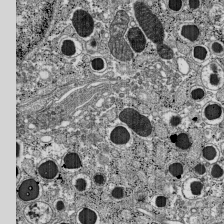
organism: C57BL Mouse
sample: Pancreatic islet